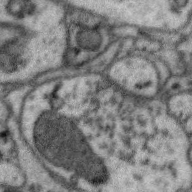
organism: Zebra finch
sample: Brain